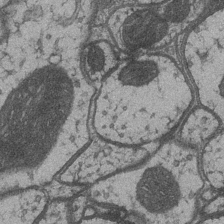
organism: Drosophila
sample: Optic medulla